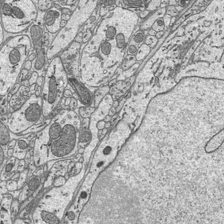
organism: Mouse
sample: Suprachiasmatic nucleus